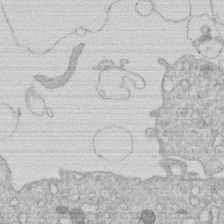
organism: Human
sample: Macrophage cells